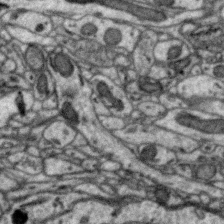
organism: Zebra finch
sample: Brain